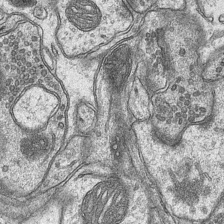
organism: Mouse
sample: CA1 Hippocampus